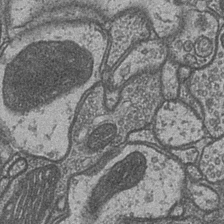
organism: Drosophila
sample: Optic medulla